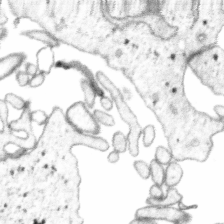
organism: Human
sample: HeLa cells